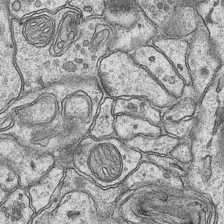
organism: Mouse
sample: CA1 Hippocampus